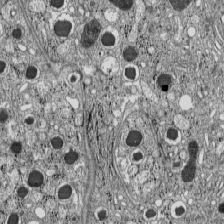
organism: C57BL Mouse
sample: Pancreatic islet